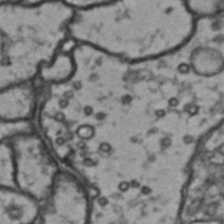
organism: Drosophila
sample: Brain